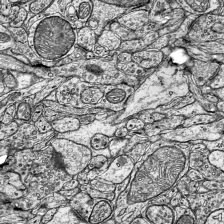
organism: Mouse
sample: Visual Cortex